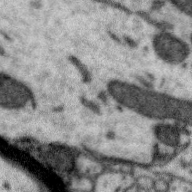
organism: Zebra finch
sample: Brain